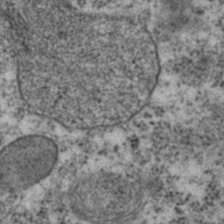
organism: C. elegans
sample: C. elegans embryo